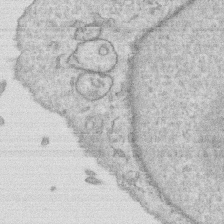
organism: Human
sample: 1205lu cells